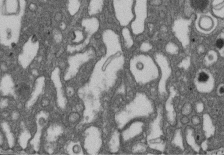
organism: Drosophila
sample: Nephrocyte